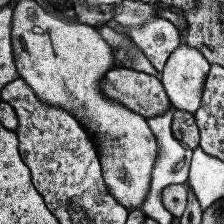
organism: Human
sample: Temporal Lobe